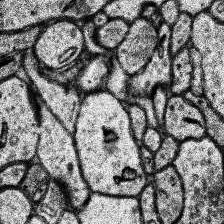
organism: Human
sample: Temporal Lobe